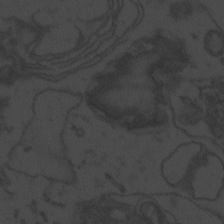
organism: Zebrafish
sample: Macrophage infected with Toxoplasma gondii